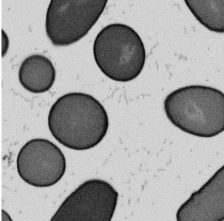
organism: B. subtilis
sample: Bacterial spore